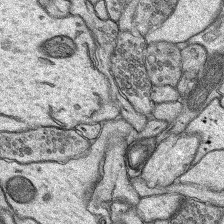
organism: Rat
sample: Hippocampus